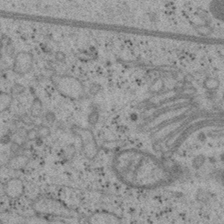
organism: Human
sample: HeLa cells